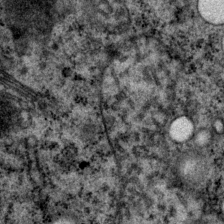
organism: P. pacificus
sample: Pharynx